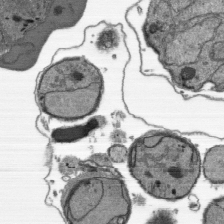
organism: Plasmodium falciparum